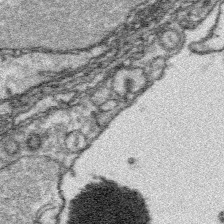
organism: Platynereis dumerilii